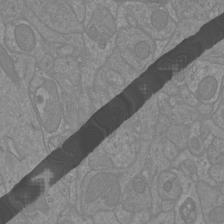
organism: Mouse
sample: Cortical neurons